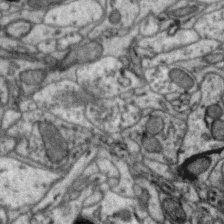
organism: Zebra finch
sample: Brain